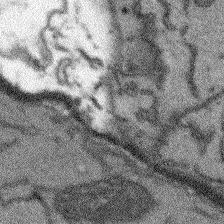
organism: Arabidopsis thaliana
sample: Root tip